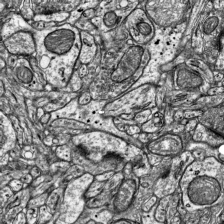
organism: Mouse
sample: Visual Cortex